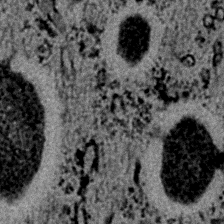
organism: C. elegans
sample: C. elegans embryo